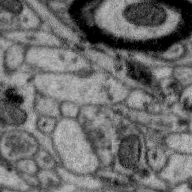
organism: Zebra finch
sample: Brain